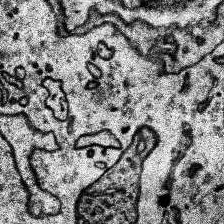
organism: Human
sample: Temporal Lobe